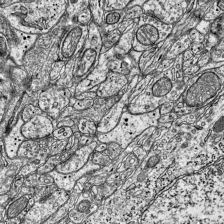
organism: Mouse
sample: Visual Cortex